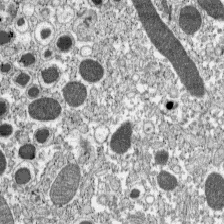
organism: C57BL Mouse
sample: Pancreatic islet